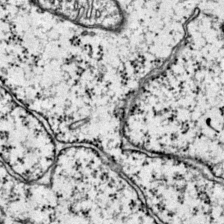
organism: Mouse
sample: Primary visual cortex